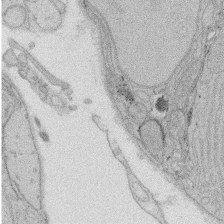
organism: Rat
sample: Salivary granule